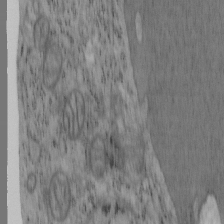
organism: Human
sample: HeLa cells